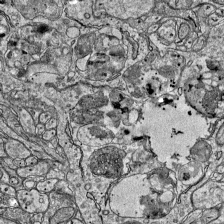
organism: Mouse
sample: Visual Cortex